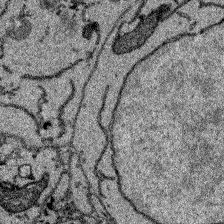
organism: Zebrafish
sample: Larval olfactory bulb